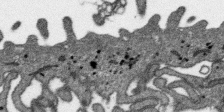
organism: Human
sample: Lung epithelial cells, uninfected (mock) control